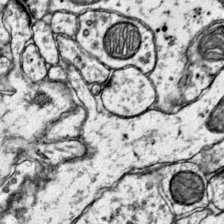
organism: Mouse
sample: Primary visual cortex